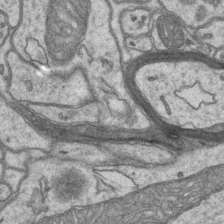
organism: Mouse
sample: CA1 Hippocampus